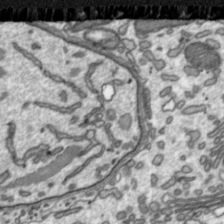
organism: Toxoplasma gondii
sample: Parasites in a vacuole inside a host cell